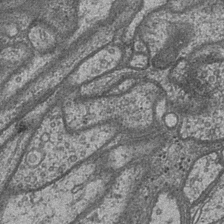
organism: Drosophila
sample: Optic medulla